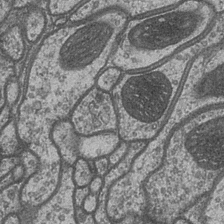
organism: Drosophila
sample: Optic medulla